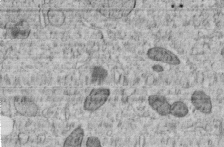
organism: C. elegans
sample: C. elegans embryo early stage